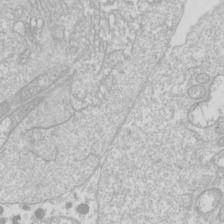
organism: Drosophila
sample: Cell division; meiosis; drosophila spermatocytes